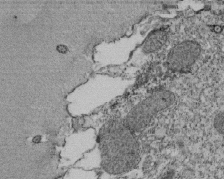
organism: Tetrahymena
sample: Cilia in tetrahymena